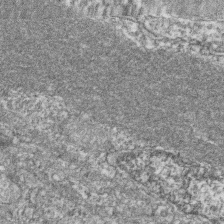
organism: Zebrafish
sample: Cilia; retinal pigment epithelium